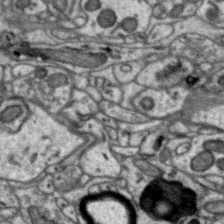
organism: Zebra finch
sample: Brain